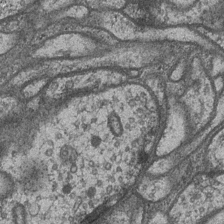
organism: Drosophila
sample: Optic medulla